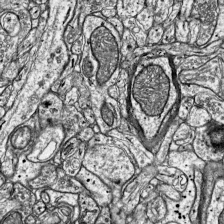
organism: Mouse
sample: Visual Cortex